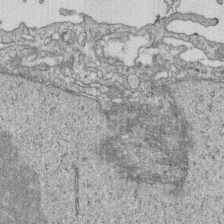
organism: Human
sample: HeLa cell HIV synapse